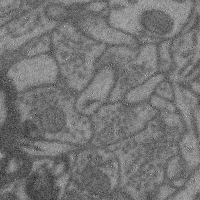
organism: Mouse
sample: Cerebral cortex